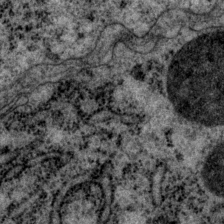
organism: P. pacificus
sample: Pharynx